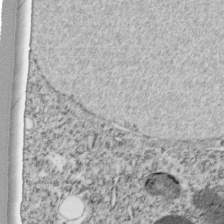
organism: C. elegans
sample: C. elegans embryo early stage